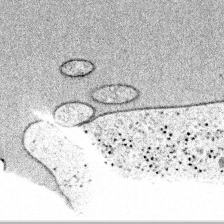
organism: Human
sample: HeLa cells